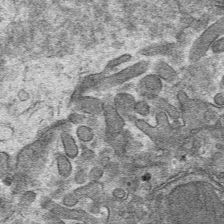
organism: Mouse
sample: Mouse hepatocytes